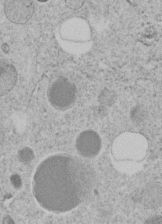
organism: C. elegans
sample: C. elegans embryo early stage